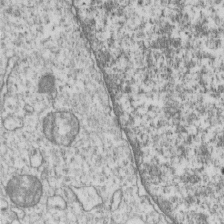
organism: Human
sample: MDA-MB-231 cells